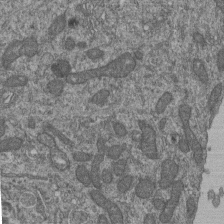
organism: Human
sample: Retinal organoid Rod and Cone cells